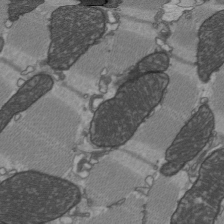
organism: C57BL Mouse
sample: Heart